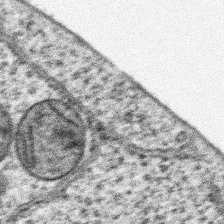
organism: Human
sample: HeLa cells